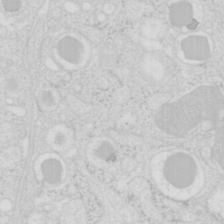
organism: Mouse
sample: Pancreas